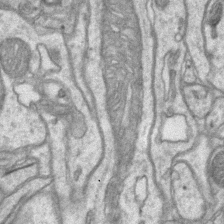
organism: Mouse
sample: CA1 Hippocampus